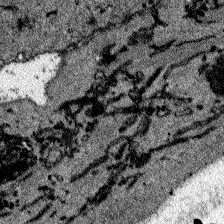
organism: Zebrafish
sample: Larval olfactory bulb